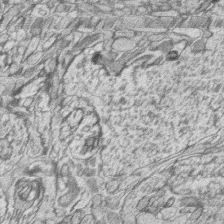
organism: Zebrafish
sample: synaptic ribbons in rod cells and cone cells